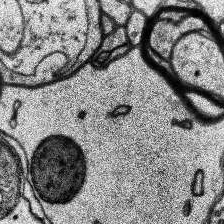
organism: Human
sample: Temporal Lobe